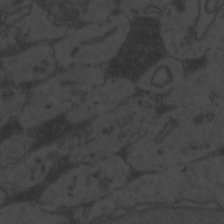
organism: Zebrafish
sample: Macrophage infected with Toxoplasma gondii